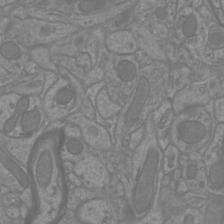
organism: Mouse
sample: Cortical neurons